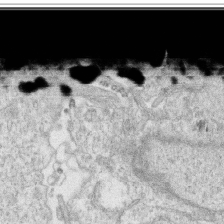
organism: Human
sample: HeLa cell HIV synapse